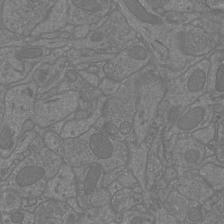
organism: Mouse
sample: Cortical neurons